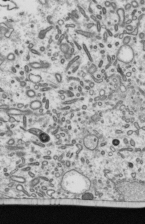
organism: Mouse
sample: Mouse epididymis efferent ductule cilia